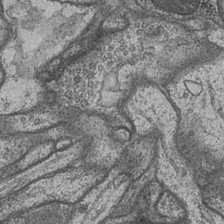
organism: Drosophila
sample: Optic medulla